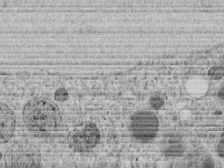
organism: C. elegans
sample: C. elegans embryo early stage